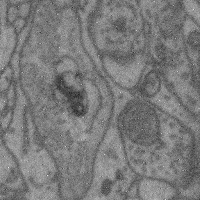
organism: Mouse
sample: Cerebral cortex